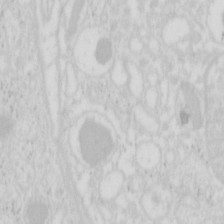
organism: Mouse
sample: Pancreas